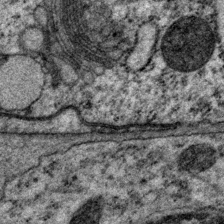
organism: P. pacificus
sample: Pharynx